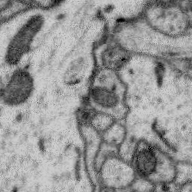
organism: Zebra finch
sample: Brain